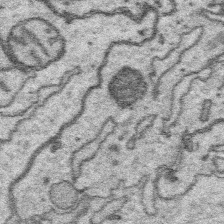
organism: Platynereis dumerilii